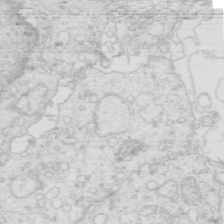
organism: Mouse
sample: Multiciliated cells